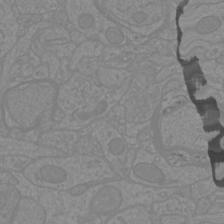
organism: Mouse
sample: Cortical neurons